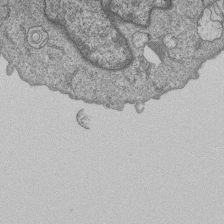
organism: Human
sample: MDA-MB-231 cells